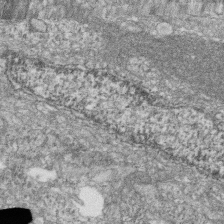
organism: Zebrafish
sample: Cilia; retinal pigment epithelium